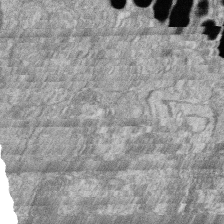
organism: Zebrafish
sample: Cilia; retinal pigment epithelium